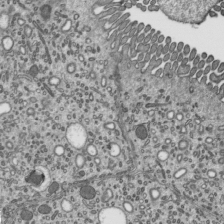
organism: Mouse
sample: Mouse epididymis efferent ductule cilia